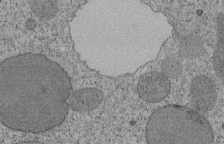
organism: Tetrahymena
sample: Cilia in tetrahymena